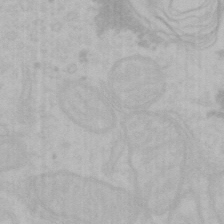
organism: Mouse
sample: Choroid plexus